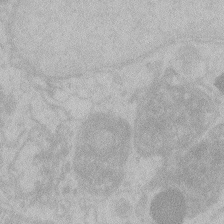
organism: Zebrafish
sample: Macrophage infected with Toxoplasma gondii